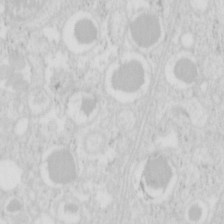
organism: Mouse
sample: Pancreas